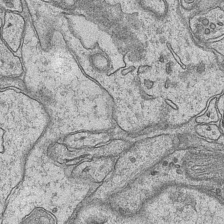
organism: Mouse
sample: CA1 Hippocampus